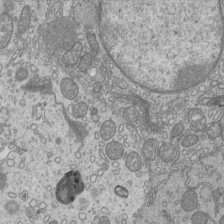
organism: Mouse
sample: Cilia; mouse epididymis